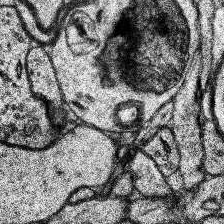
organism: Human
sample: Temporal Lobe